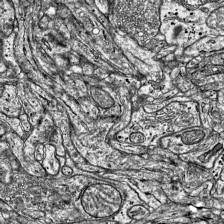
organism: Mouse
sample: Visual Cortex